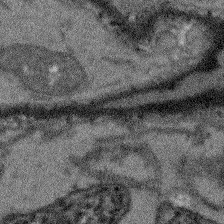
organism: Arabidopsis thaliana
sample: Root tip